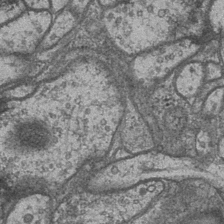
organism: Drosophila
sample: Optic medulla